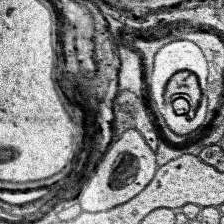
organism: Human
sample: Temporal Lobe